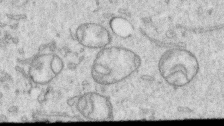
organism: Human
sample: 1205lu cells